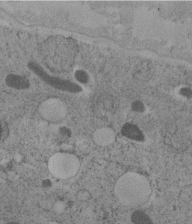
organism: C. elegans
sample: C. elegans embryo early stage